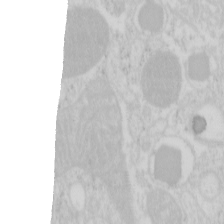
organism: Mouse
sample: Pancreas